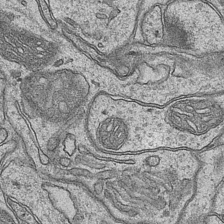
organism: Mouse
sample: CA1 Hippocampus